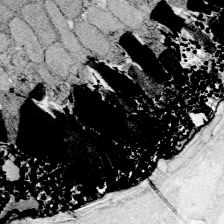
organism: Zebrafish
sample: Whole-Brain